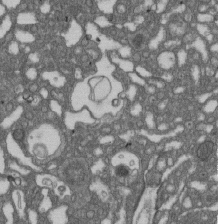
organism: Drosophila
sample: Nephrocyte